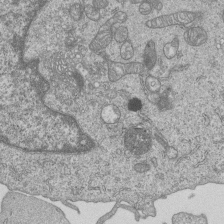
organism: Human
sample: MDA-MB-231 cells